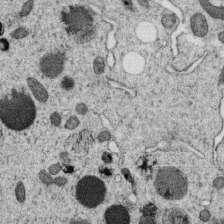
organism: C. elegans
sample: C. elegans oocyte; sperm cells